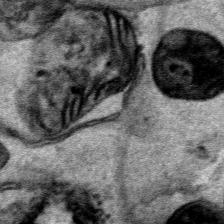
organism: Human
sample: Mitochondria in HCT116 cells